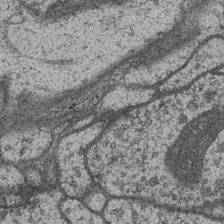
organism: Drosophila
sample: Optic medulla